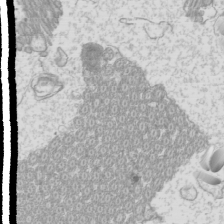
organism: Mouse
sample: Cilia; mouse epididymis